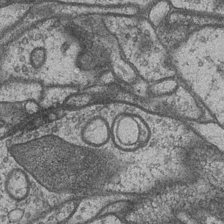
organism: Drosophila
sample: Optic medulla